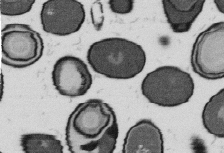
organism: B. subtilis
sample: Bacterial spore